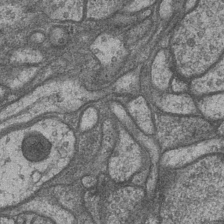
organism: Drosophila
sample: Optic medulla